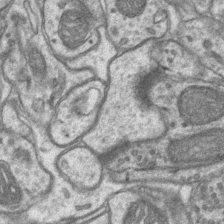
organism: Mouse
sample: CA1 Hippocampus